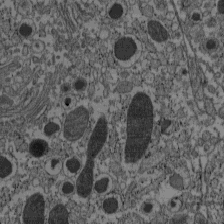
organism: C57BL Mouse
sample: Pancreatic islet